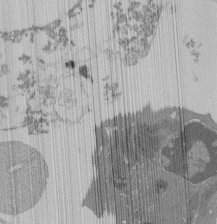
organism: Mouse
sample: Activated Pmel transgenic CD8+ T Cells